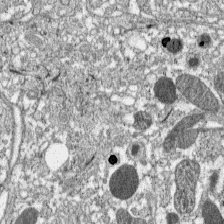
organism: C57BL Mouse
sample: Pancreatic islet